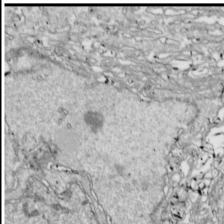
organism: Drosophila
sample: Cell division; meiosis; drosophila spermatocytes